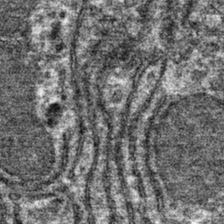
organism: Mouse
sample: Mouse hepatocytes